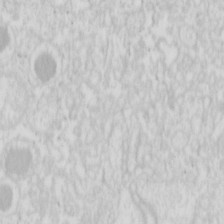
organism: Mouse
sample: Pancreas